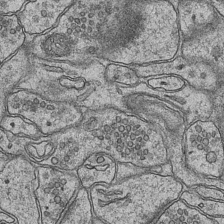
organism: Mouse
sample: CA1 Hippocampus